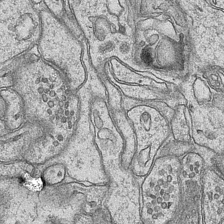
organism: Mouse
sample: CA1 Hippocampus